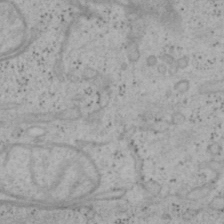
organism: Human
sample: HeLa cells